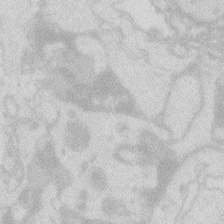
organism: Zebrafish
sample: Macrophage